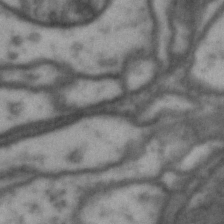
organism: Drosophila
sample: Brain